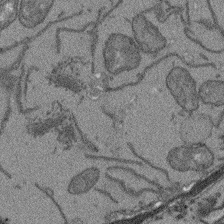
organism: Arabidopsis thaliana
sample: Root tip